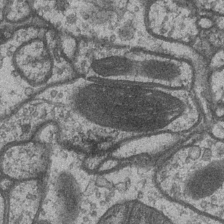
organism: Drosophila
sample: Optic medulla